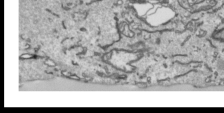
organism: Human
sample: Mitochondria in HCT116 cells